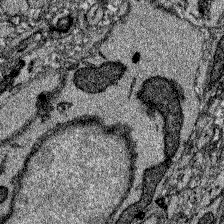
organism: Zebrafish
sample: Larval olfactory bulb